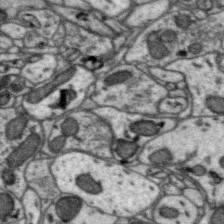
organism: Zebra finch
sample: Brain